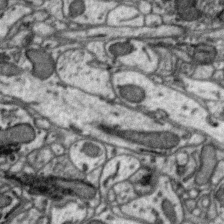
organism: Zebra finch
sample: Brain